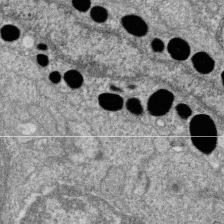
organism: Zebrafish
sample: Cilia; retinal pigment epithelium